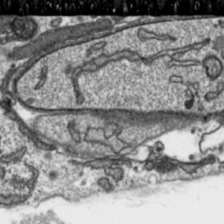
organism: Toxoplasma gondii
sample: Parasites in a vacuole inside a host cell